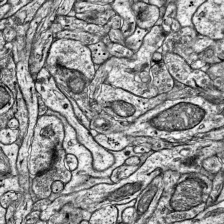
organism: Mouse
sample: Visual Cortex